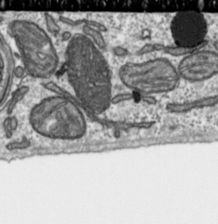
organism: Toxoplasma gondii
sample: Parasites in a vacuole inside a host cell